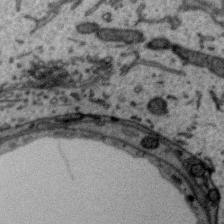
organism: Zebra finch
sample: Brain